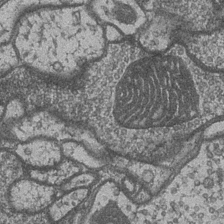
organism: Drosophila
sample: Optic medulla